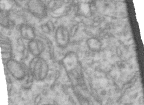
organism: Human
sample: Centriole in RPE cells